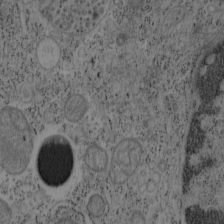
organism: Mouse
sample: OT-I killer T cells with ID8 ovarian cancer cells